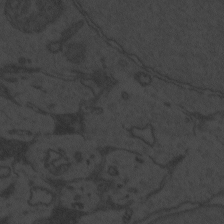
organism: Zebrafish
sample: Macrophage infected with Toxoplasma gondii